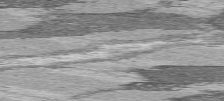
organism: C57BL Mouse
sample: Heart